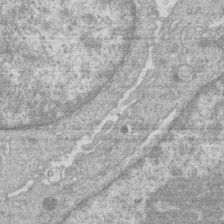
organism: Human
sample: Macrophage cells